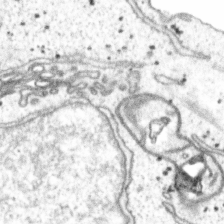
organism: Human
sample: HeLa cells